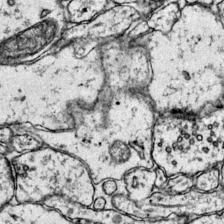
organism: Mouse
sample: Primary visual cortex